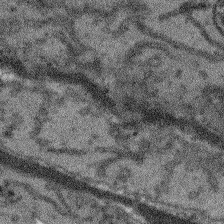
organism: Arabidopsis thaliana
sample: Root tip